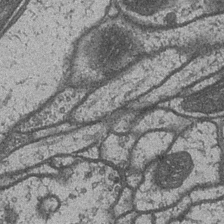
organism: Drosophila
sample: Optic medulla